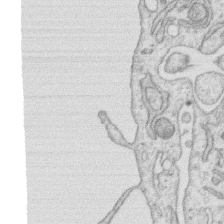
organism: Human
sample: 1205lu cells